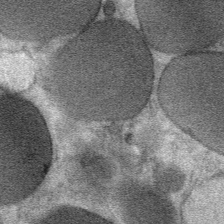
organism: Mouse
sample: Mouse Salivary gland